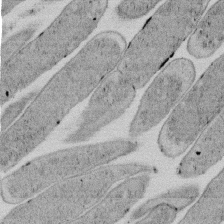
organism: E. coli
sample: Bacterial nucleoid